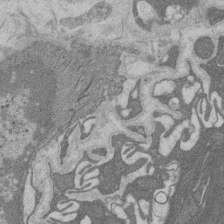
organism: Rat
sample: Salivary granule